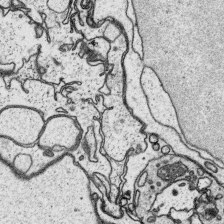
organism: Platynereis dumerilii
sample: Parapodia